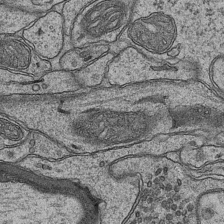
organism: Mouse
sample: CA1 Hippocampus